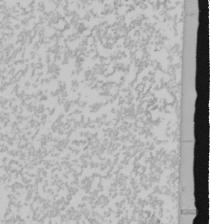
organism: Mouse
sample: Cancer cell death in ED-1 cells